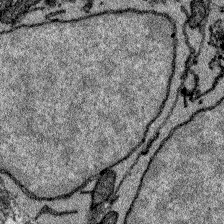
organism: Zebrafish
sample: Larval olfactory bulb